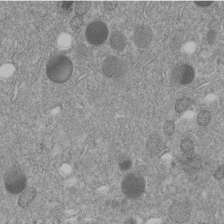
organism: C. elegans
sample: C. elegans embryo early stage